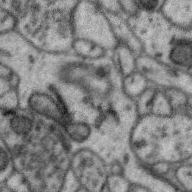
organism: Zebra finch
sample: Brain